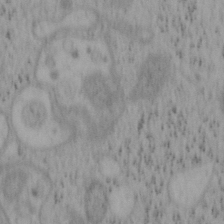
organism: Mouse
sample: OT-I killer T cells with ID8 ovarian cancer cells